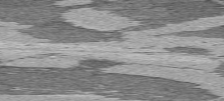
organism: C57BL Mouse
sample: Heart